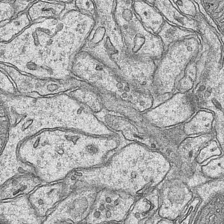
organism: Mouse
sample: CA1 Hippocampus